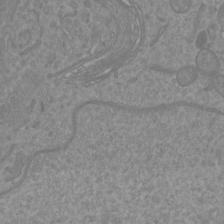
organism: Mouse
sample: Cortical neurons